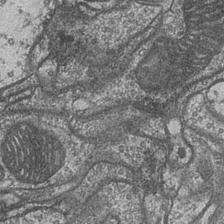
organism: Drosophila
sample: Optic medulla